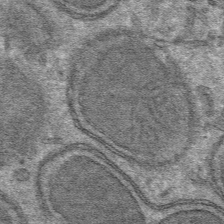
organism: Mouse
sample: Mouse hepatocytes